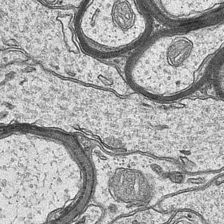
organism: Mouse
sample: CA1 Hippocampus